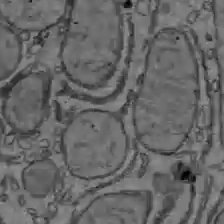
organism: C57BL Mouse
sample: Liver